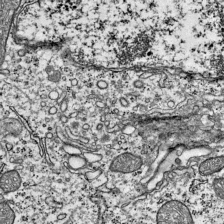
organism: Mouse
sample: Visual Cortex